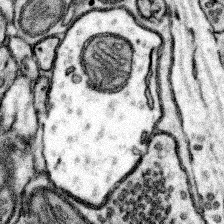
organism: Mouse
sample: Somatosensory cortex neuropil